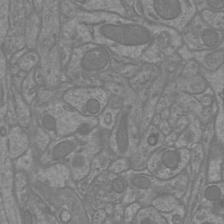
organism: Mouse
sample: Cortical neurons